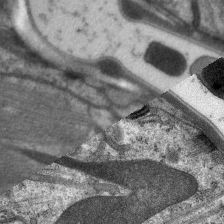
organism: C. elegans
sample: Pharynx